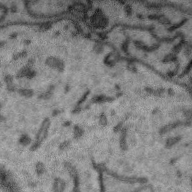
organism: Zebra finch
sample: Brain